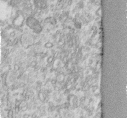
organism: Human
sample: Centriole in fibroblast cells